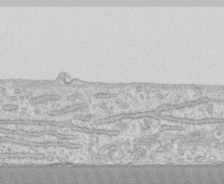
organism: Human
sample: CRL-1474